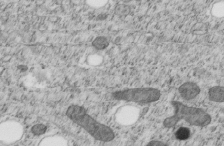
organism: C. elegans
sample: C. elegans embryo early stage